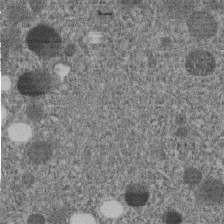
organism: C. elegans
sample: C. elegans embryo early stage